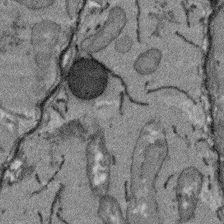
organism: Arabidopsis thaliana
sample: Root tip